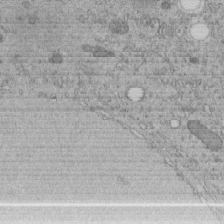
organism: C. elegans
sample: C. elegans embryo early stage